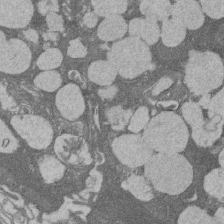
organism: Rat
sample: Salivary granule